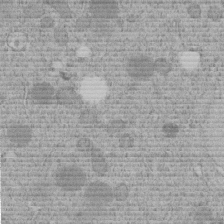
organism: C. elegans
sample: C. elegans embryo early stage